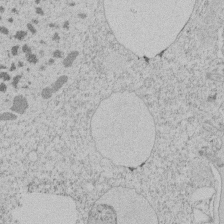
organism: Tetrahymena